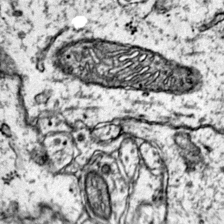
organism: Mouse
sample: Primary visual cortex